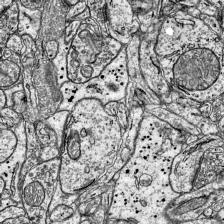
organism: Mouse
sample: Visual Cortex